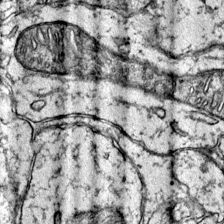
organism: Mouse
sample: Primary visual cortex